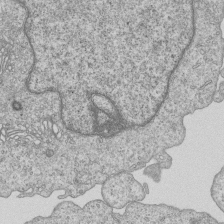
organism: Human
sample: MDA-MB-231 cells